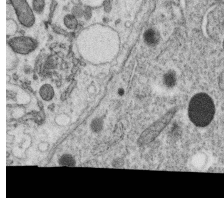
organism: C. elegans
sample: C. elegans oocyte; sperm cells